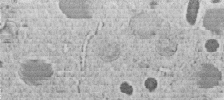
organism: C. elegans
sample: C. elegans embryo early stage